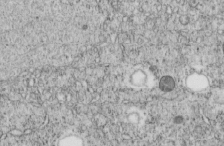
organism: C. elegans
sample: C. elegans embryo early stage